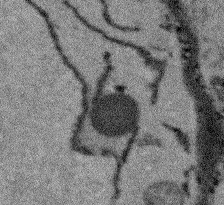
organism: Arabidopsis thaliana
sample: Root tip